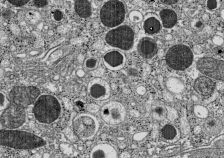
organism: C57BL Mouse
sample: Pancreatic islet